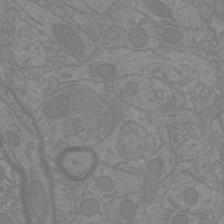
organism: Mouse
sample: Cortical neurons